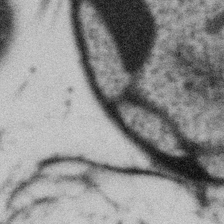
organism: Gemmata obscuriglobus